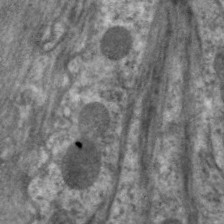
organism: C. elegans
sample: Pharynx